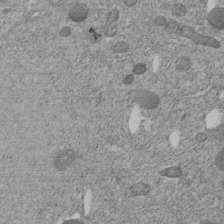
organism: C. elegans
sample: C. elegans embryo early stage